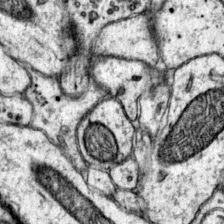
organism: Mouse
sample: Primary visual cortex